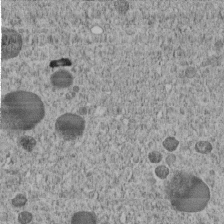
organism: C. elegans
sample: C. elegans embryo early stage